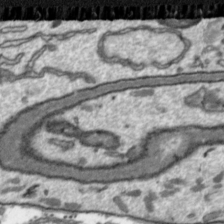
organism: Toxoplasma gondii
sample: Parasites in a vacuole inside a host cell